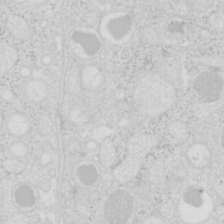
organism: Mouse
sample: Pancreas